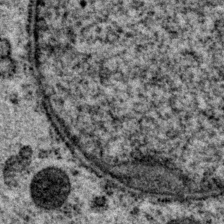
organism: P. pacificus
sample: Pharynx